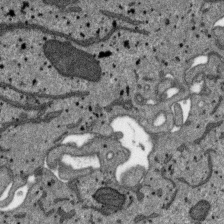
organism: Human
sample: Lung epithelial cells, uninfected (mock) control